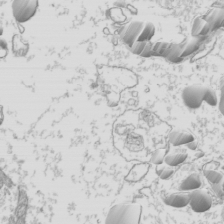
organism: Mouse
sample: Cilia; mouse epididymis